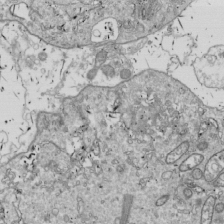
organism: Drosophila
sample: Cell division; meiosis; drosophila spermatocytes